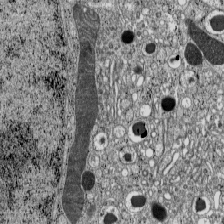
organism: C57BL Mouse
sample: Pancreatic islet